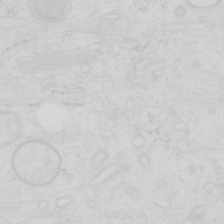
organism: Human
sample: SUM-159 cell